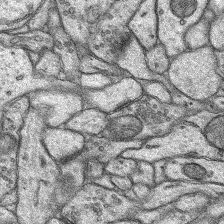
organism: Rat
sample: Hippocampus